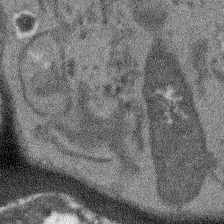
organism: Arabidopsis thaliana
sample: Root tip